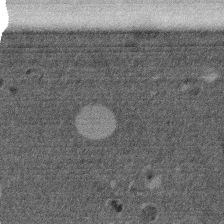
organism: Mouse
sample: Dividing mouse embryo 1 cell stage